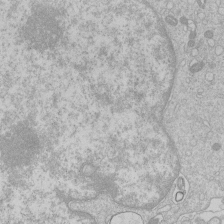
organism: Human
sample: Macrophage cells